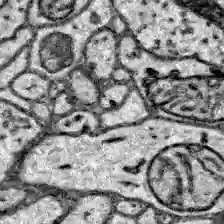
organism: Zebrafish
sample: Brain